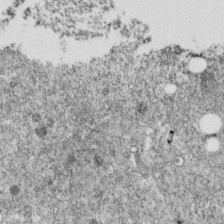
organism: C. elegans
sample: C. elegans embryo early stage